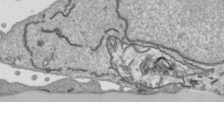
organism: Human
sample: Mitochondria in HCT116 cells